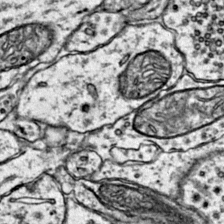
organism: Mouse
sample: Primary visual cortex